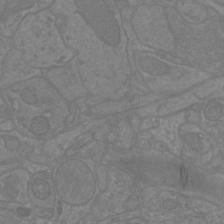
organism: Mouse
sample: Cortical neurons